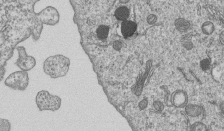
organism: Human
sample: MDA-MB-231 cells